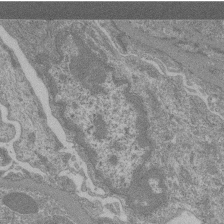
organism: Mouse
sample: Glomerulus